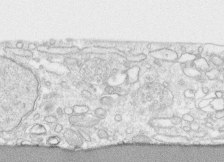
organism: Human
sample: CRL-1474